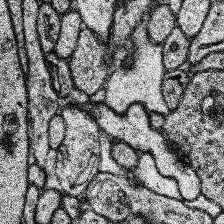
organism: Human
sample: Temporal Lobe